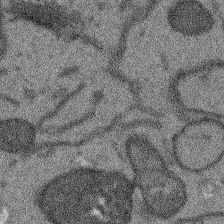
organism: Arabidopsis thaliana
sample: Root tip